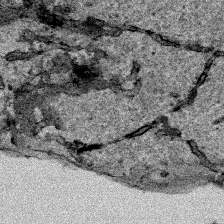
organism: Human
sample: Mitochondria in HCT116 cells